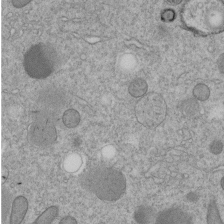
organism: C. elegans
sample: C. elegans embryo early stage